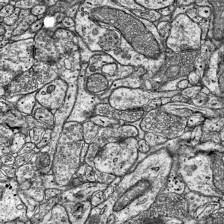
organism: Mouse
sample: Visual Cortex